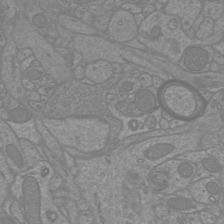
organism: Mouse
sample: Cortical neurons